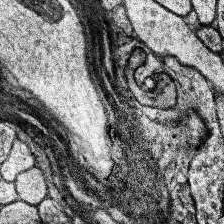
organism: Human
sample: Temporal Lobe